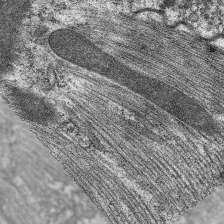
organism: C. elegans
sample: Pharynx